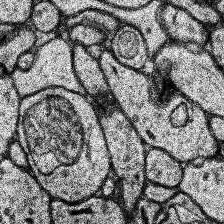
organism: Human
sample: Temporal Lobe